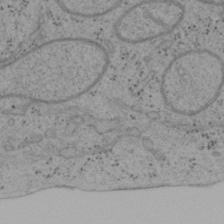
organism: Human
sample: HeLa cells